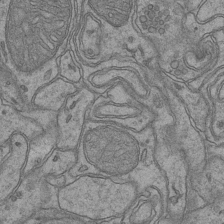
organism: Mouse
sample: CA1 Hippocampus